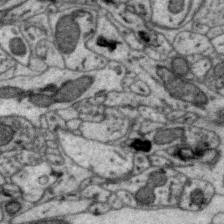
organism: Zebra finch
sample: Brain